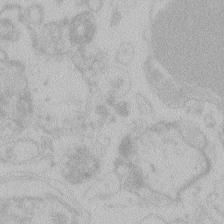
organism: Zebrafish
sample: Macrophage infected with Toxoplasma gondii